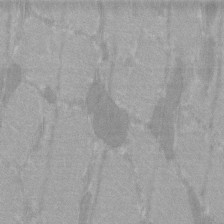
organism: C57BL Mouse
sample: Tibialis anterior muscle cell